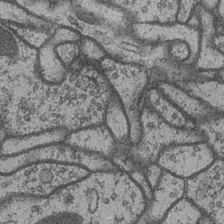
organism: Drosophila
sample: Optic medulla